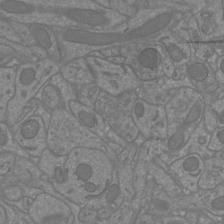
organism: Mouse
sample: Cortical neurons